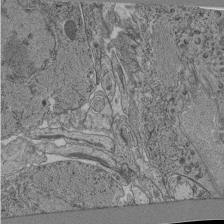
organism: C. elegans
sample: C. elegans pharynx